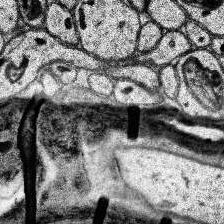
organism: Human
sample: Temporal Lobe